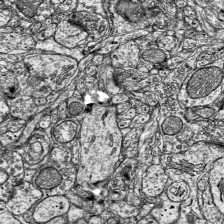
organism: Mouse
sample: Visual Cortex